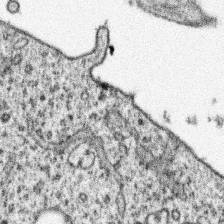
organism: Human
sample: HeLa cells